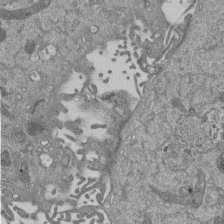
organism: Mouse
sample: ED-1 cell nuclei; centrioles